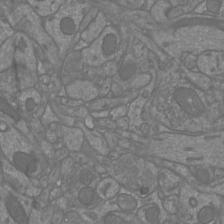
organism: Mouse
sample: Cortical neurons